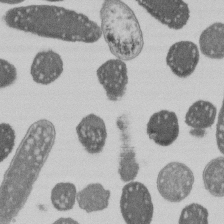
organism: E. coli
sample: Bacterial nucleoid